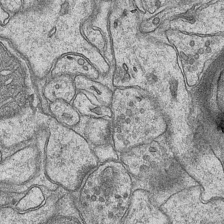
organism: Mouse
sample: CA1 Hippocampus